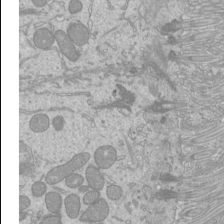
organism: Mouse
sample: Cilia; mouse epididymis